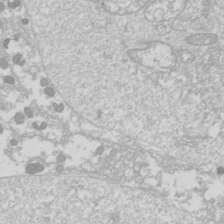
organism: Drosophila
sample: Cell division; meiosis; drosophila spermatocytes